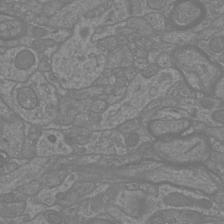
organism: Mouse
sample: Cortical neurons